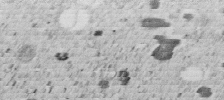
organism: C. elegans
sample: C. elegans embryo early stage